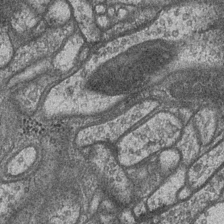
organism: Drosophila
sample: Optic medulla